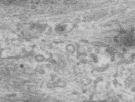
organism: Human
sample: Centriole in RPE cells